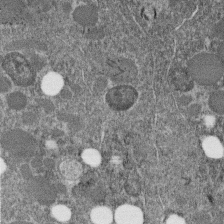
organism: C. elegans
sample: C. elegans embryo early stage